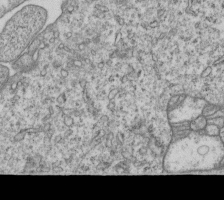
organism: Human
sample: MDA-MB-231 cells